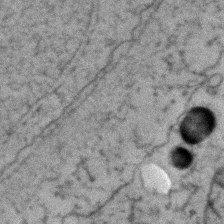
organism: Zebrafish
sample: Zebrafish embryo